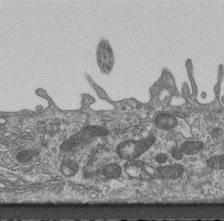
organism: Mouse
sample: Centriole in ependymal cells